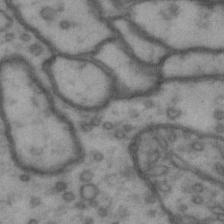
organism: Drosophila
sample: Brain